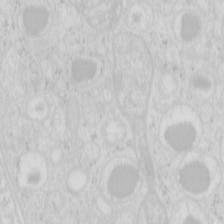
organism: Mouse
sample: Pancreas